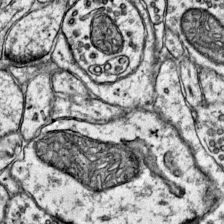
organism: Mouse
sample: Primary visual cortex